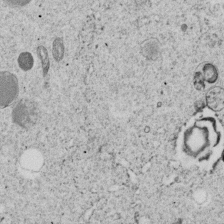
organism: C. elegans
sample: C. elegans embryo early stage